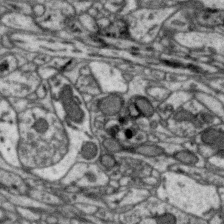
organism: Zebra finch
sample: Brain